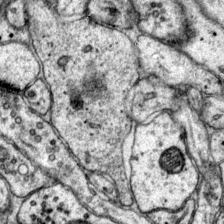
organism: Mouse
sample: Primary visual cortex